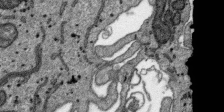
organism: Human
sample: Lung epithelial cells, uninfected (mock) control